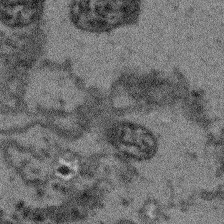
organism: Arabidopsis thaliana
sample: Root tip